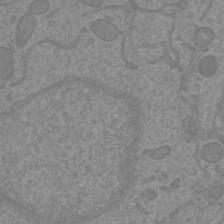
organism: Mouse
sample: Cortical neurons